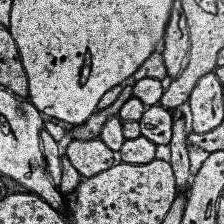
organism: Human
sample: Temporal Lobe